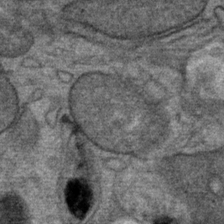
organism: Mouse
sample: Mouse Salivary gland